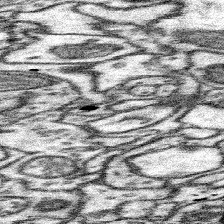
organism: Mouse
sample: Somatosensory cortex neuropil